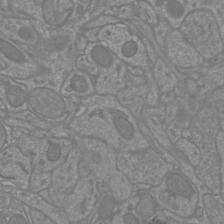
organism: Mouse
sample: Cortical neurons